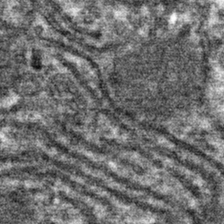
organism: Mouse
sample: Mouse hepatocytes